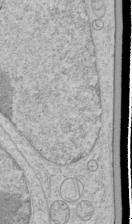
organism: Human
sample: Mitochondria in HCT116 cells